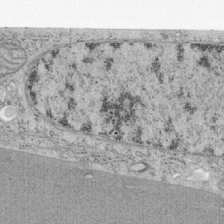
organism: Human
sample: HeLa cells